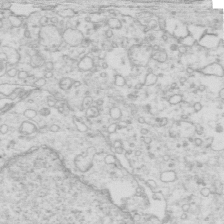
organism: Mouse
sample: Multiciliated cells